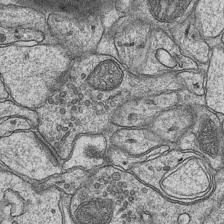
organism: Mouse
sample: CA1 Hippocampus